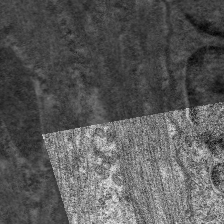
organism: C. elegans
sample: Pharynx